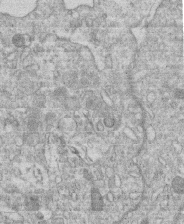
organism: Human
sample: Macrophage cells